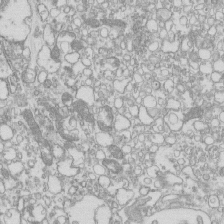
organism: Mouse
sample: Macrophages